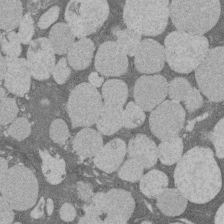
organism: Rat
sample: Salivary granule